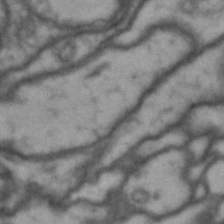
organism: Drosophila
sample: Brain